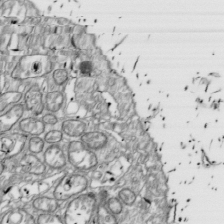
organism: Drosophila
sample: Cell division; meiosis; drosophila spermatocytes